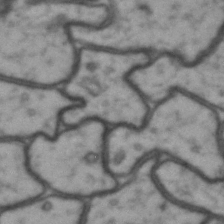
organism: Drosophila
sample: Brain